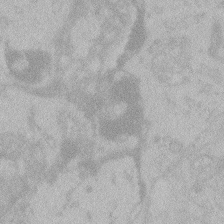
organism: Zebrafish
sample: Macrophage infected with Toxoplasma gondii